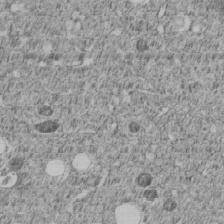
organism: C. elegans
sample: C. elegans embryo early stage